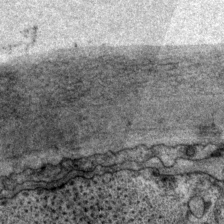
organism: P. pacificus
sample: Pharynx